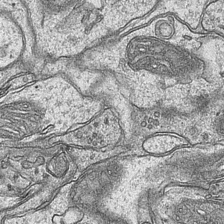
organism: Mouse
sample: CA1 Hippocampus